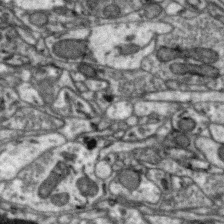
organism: Zebra finch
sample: Brain